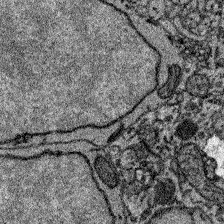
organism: Zebrafish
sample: Larval olfactory bulb